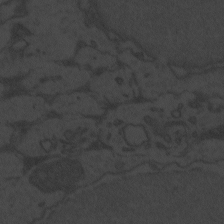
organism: Zebrafish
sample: Macrophage infected with Toxoplasma gondii